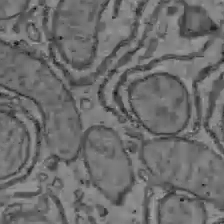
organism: C57BL Mouse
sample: Liver